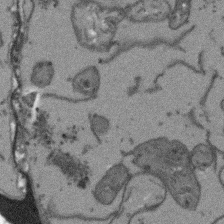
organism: Arabidopsis thaliana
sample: Root tip